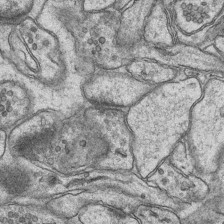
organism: Mouse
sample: CA1 Hippocampus